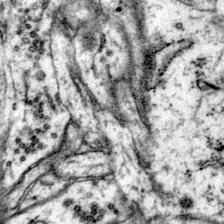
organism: Mouse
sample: Primary visual cortex